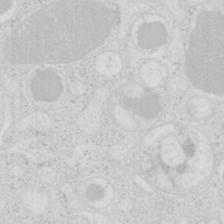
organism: Mouse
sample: Pancreas